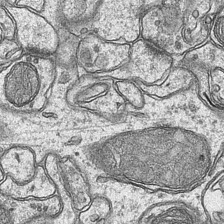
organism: Mouse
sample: CA1 Hippocampus